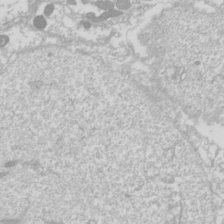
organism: Drosophila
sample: Cell division; meiosis; drosophila spermatocytes